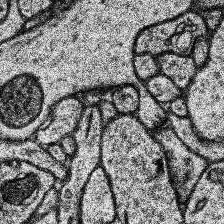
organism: Human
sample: Temporal Lobe